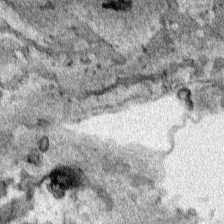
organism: Human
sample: Mitochondria in HCT116 cells